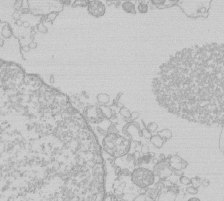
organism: Human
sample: Macrophage cells